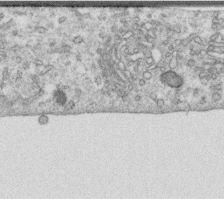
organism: Human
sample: Centriole in RPE cells